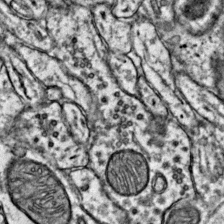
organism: Mouse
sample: Primary visual cortex